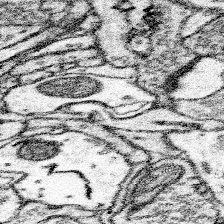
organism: Mouse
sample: Somatosensory cortex neuropil